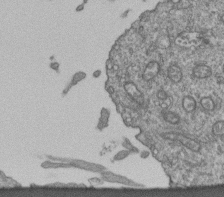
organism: Human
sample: Retinal organoid Rod and Cone cells